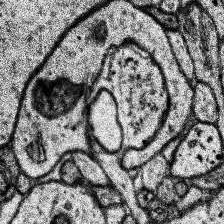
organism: Human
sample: Temporal Lobe